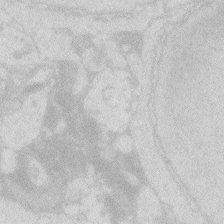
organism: Zebrafish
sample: Macrophage